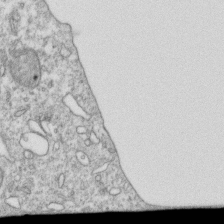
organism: Mouse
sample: Activated OT-1 CD8+ T cells